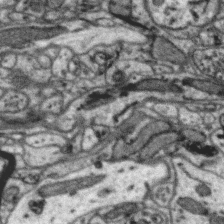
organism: Zebra finch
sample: Brain